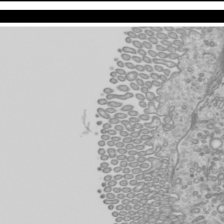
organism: Mouse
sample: Cilia; mouse epididymis